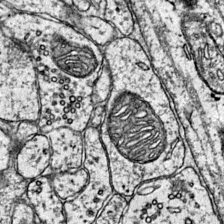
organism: Mouse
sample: Primary visual cortex